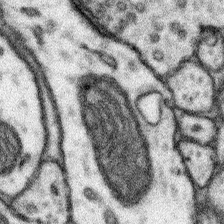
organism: Mouse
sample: Somatosensory cortex neuropil